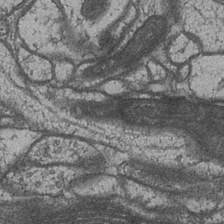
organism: Drosophila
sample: Optic medulla